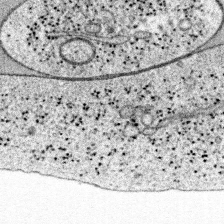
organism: Human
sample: HeLa cells